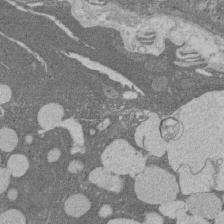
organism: Rat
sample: Salivary granule